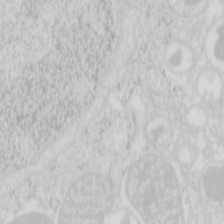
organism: Mouse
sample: Pancreas